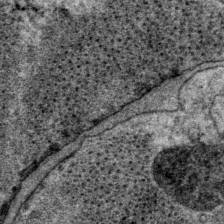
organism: P. pacificus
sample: Pharynx